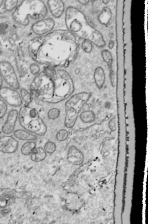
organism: Drosophila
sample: Cell division; meiosis; drosophila spermatocytes